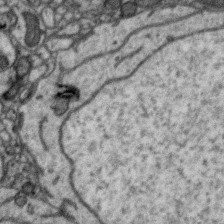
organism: Zebra finch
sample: Brain